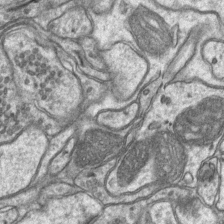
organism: Mouse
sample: CA1 Hippocampus